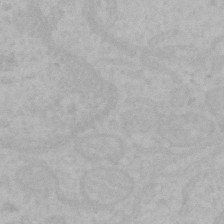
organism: Mouse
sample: Choroid plexus